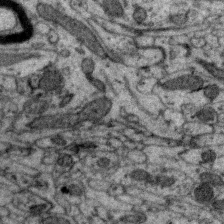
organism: Zebra finch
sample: Brain